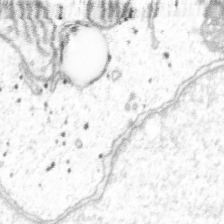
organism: Human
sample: HeLa cells